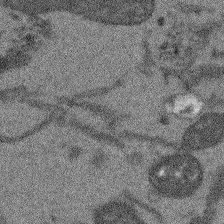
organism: Arabidopsis thaliana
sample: Root tip